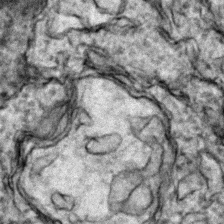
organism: Zebrafish